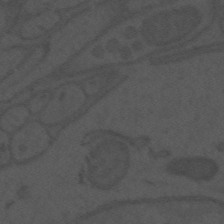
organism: Mouse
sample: Suprachiasmatic nucleus